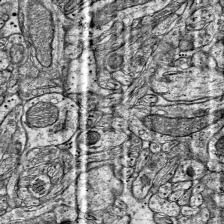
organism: Mouse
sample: Visual Cortex